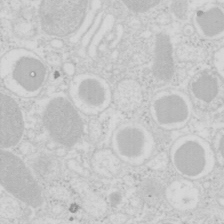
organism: Mouse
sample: Pancreas